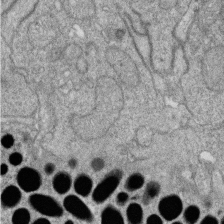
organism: Zebrafish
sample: Cilia; retinal pigment epithelium